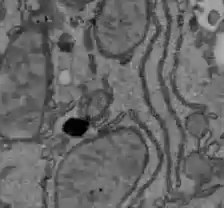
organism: C57BL Mouse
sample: Liver